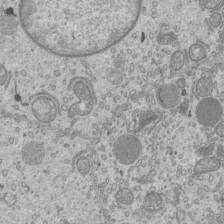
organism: Mouse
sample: Cilia; mouse epididymis